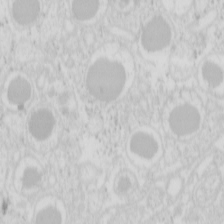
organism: Mouse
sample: Pancreas